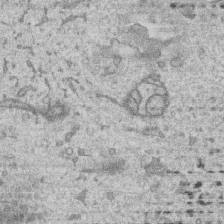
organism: Human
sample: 1205lu cells